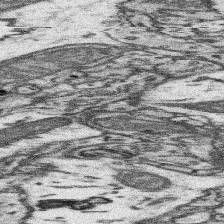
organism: Mouse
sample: Somatosensory cortex neuropil